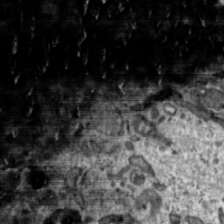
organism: Toxoplasma gondii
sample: Parasites in a vacuole inside a host cell